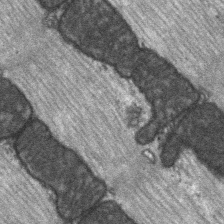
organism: C57BL Mouse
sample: Soleus